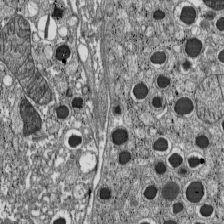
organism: C57BL Mouse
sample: Pancreatic islet